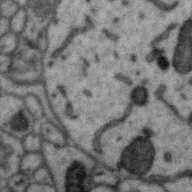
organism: Zebra finch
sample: Brain